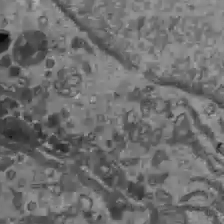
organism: C57BL Mouse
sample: Liver